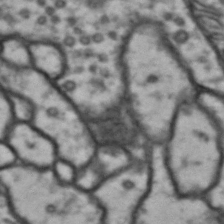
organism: Drosophila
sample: Brain